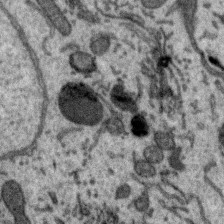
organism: Zebra finch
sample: Brain